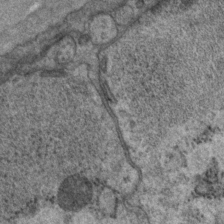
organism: P. pacificus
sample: Pharynx